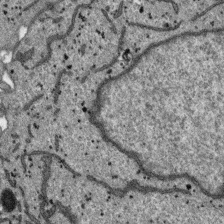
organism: Human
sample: Lung epithelial cells, uninfected (mock) control